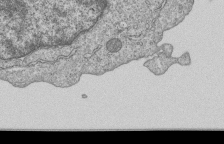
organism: Human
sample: MDA-MB-231 cells